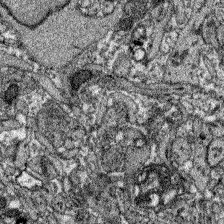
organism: Zebrafish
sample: Larval olfactory bulb